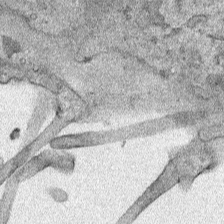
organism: Human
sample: Mitochondria in HCT116 cells